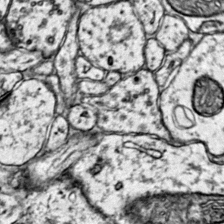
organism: Mouse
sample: Primary visual cortex